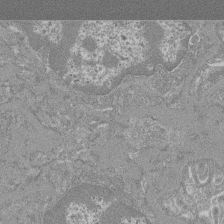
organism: Mouse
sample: Glomerulus